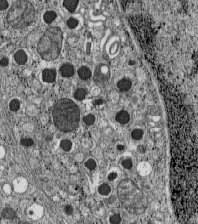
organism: C57BL Mouse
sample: Pancreatic islet